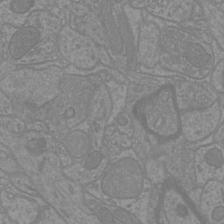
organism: Mouse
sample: Cortical neurons